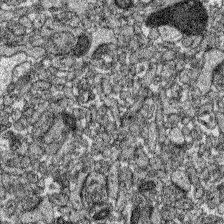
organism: Zebrafish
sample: Larval olfactory bulb